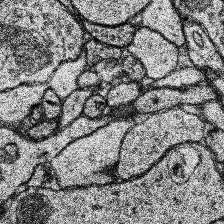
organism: Human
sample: Temporal Lobe